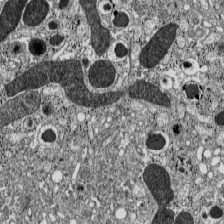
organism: C57BL Mouse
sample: Pancreatic islet